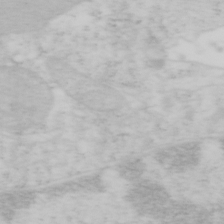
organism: Mouse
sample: OT-I killer T cells with ID8 ovarian cancer cells